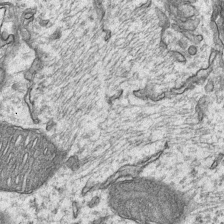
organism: Mouse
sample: CA1 Hippocampus